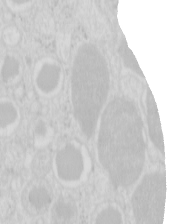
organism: Mouse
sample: Pancreas